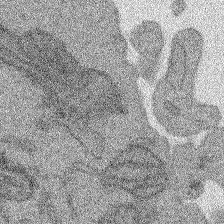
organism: Human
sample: HeLa cells